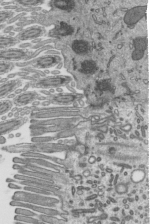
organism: Mouse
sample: Mouse epididymis efferent ductule cilia